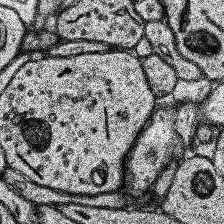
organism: Human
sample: Temporal Lobe